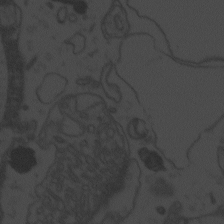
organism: Zebrafish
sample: Macrophage infected with Toxoplasma gondii